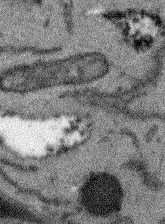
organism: Arabidopsis thaliana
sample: Root tip